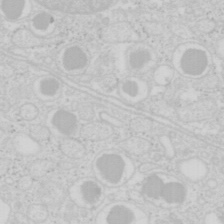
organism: Mouse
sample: Pancreas